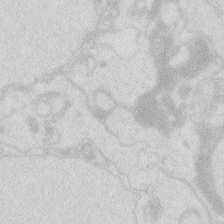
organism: Zebrafish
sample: Macrophage